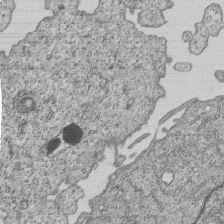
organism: Human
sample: MDA-MB-231 cells